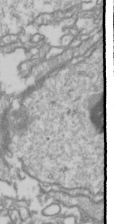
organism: Drosophila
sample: Cell division; meiosis; drosophila spermatocytes